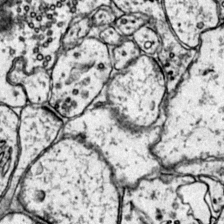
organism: Mouse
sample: Primary visual cortex